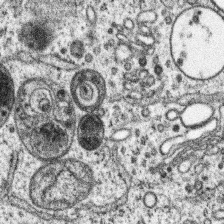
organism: Human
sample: HeLa cells